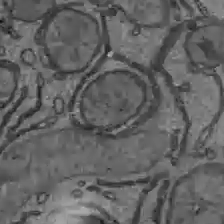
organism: C57BL Mouse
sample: Liver